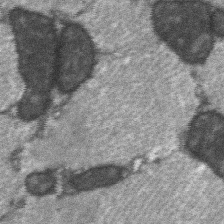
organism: C57BL Mouse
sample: Soleus